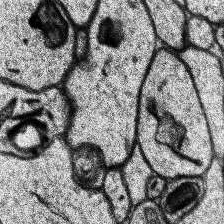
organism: Human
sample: Temporal Lobe